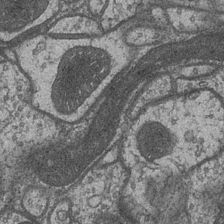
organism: Drosophila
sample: Optic medulla